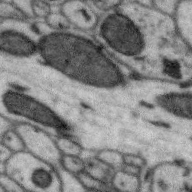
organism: Zebra finch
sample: Brain